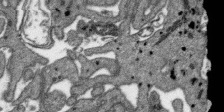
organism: Human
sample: Lung epithelial cells, uninfected (mock) control